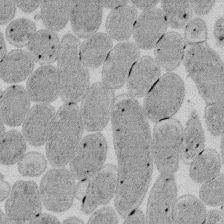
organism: E. coli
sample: Bacterial nucleoid